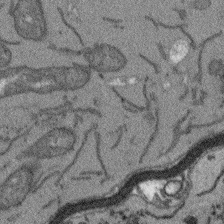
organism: Arabidopsis thaliana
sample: Root tip